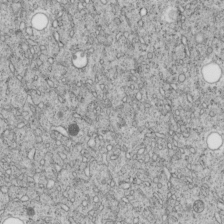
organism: C. elegans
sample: C. elegans embryo early stage